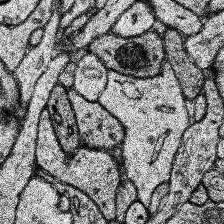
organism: Human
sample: Temporal Lobe